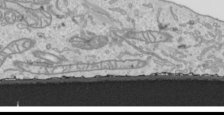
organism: Human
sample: Mitochondria in HCT116 cells